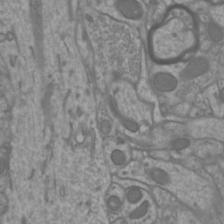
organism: Mouse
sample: Cortical neurons